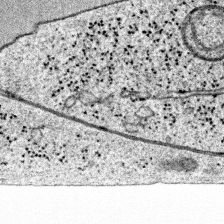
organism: Human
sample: HeLa cells